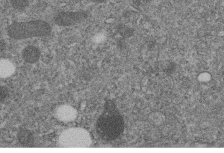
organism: C. elegans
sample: C. elegans embryo early stage